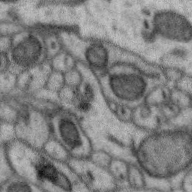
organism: Zebra finch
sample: Brain